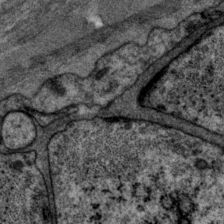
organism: P. pacificus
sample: Pharynx